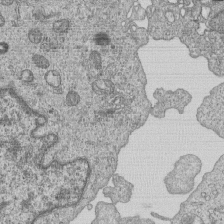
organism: Human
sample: MDA-MB-231 cells